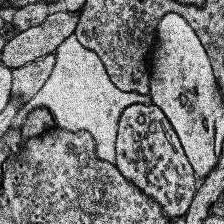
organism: Human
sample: Temporal Lobe